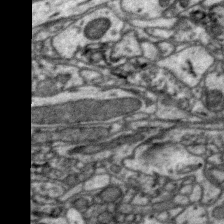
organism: Zebra finch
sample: Brain